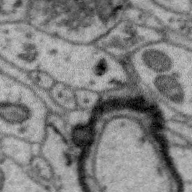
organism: Zebra finch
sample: Brain